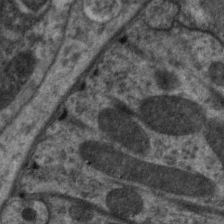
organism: C. elegans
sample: Pharynx